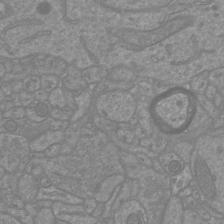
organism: Mouse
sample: Cortical neurons